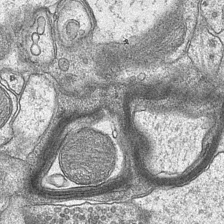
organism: Mouse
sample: CA1 Hippocampus